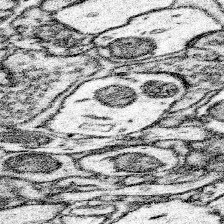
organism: Mouse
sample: Somatosensory cortex neuropil